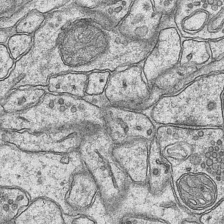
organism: Mouse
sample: CA1 Hippocampus